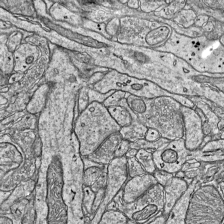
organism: Mouse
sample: Visual Cortex